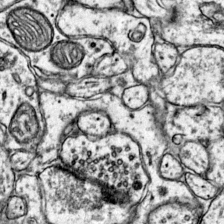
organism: Mouse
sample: Primary visual cortex